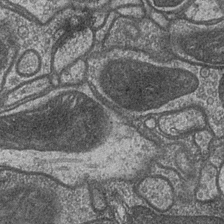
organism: Drosophila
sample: Optic medulla